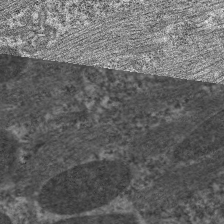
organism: C. elegans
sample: Pharynx